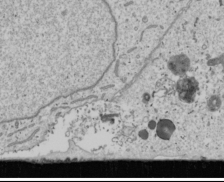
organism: Human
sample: Mitochondria in U2OS cells